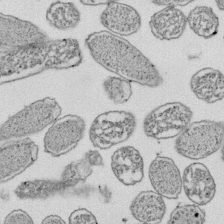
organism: E. coli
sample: Bacterial nucleoid